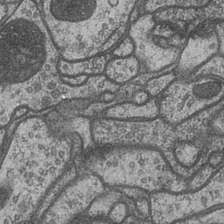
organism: Drosophila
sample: Optic medulla